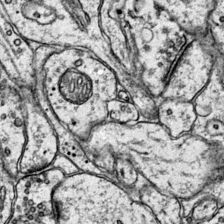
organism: Mouse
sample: Primary visual cortex